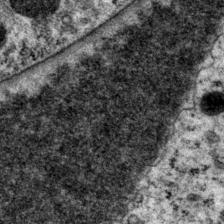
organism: P. pacificus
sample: Pharynx